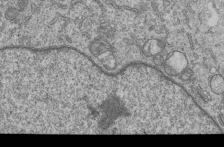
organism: Human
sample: MDA-MB-231 cells